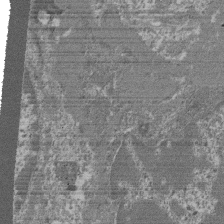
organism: Mouse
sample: Glomerulus